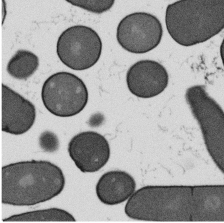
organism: B. subtilis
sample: Bacterial spore